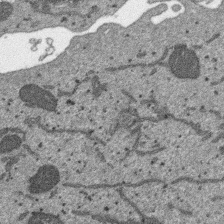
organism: Human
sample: Lung epithelial cells infected with SARS-CoV-2